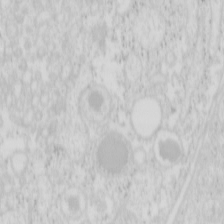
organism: Mouse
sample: Pancreas